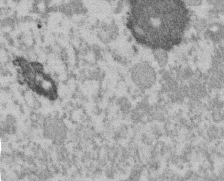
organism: Mouse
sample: Dividing mouse embryo 1 cell stage